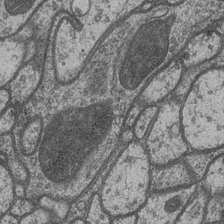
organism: Drosophila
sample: Optic medulla